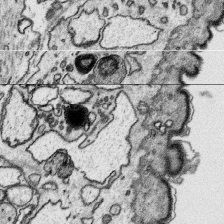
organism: Platynereis dumerilii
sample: Parapodia